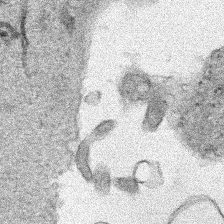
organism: Human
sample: Mitochondria in HCT116 cells